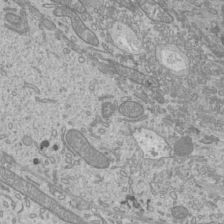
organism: Mouse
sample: Cilia; mouse epididymis